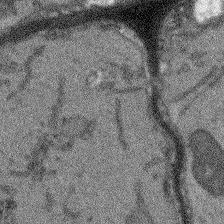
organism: Arabidopsis thaliana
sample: Root tip